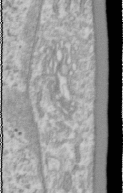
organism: Human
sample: Cilia; basal body in RPE cells